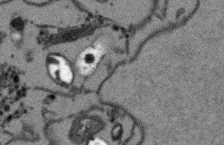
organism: Arabidopsis thaliana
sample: Root tip